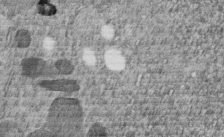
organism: C. elegans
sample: C. elegans embryo early stage